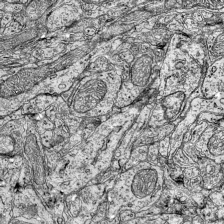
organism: Mouse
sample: Visual Cortex